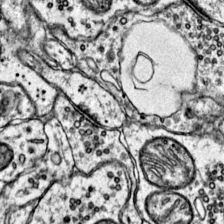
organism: Mouse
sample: Primary visual cortex